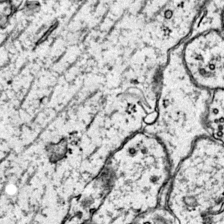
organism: Mouse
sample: Primary visual cortex